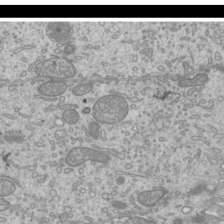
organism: Mouse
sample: Cilia; mouse epididymis